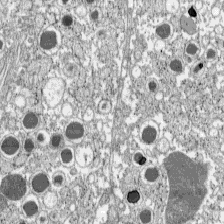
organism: C57BL Mouse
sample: Pancreatic islet